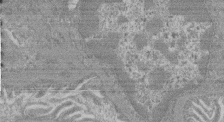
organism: Mouse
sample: Glomerulus